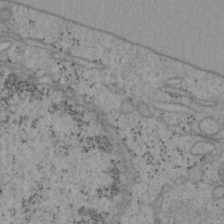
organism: Human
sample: HeLa cells